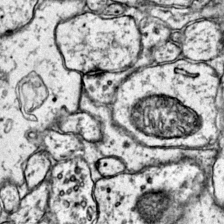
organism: Mouse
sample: Primary visual cortex